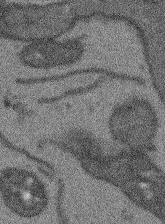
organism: Arabidopsis thaliana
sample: Root tip